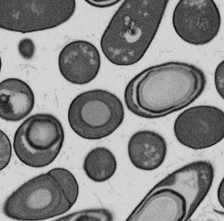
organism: B. subtilis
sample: Bacterial spore